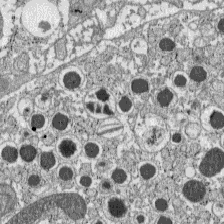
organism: C57BL Mouse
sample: Pancreatic islet